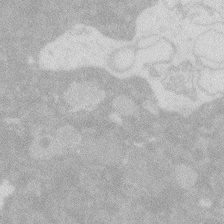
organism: Zebrafish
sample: Macrophage